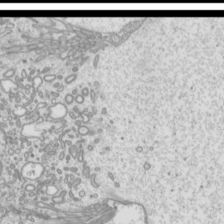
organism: Mouse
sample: Cilia; mouse epididymis